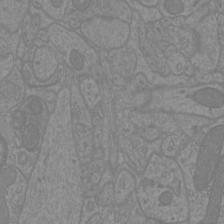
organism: Mouse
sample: Cortical neurons